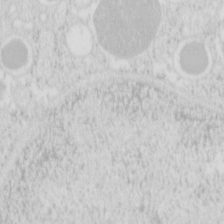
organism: Mouse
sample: Pancreas